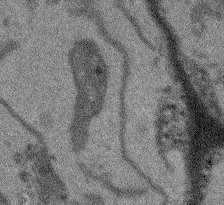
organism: Arabidopsis thaliana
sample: Root tip